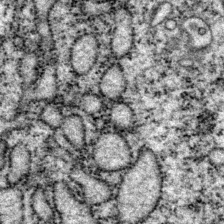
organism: P. pacificus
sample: Pharynx